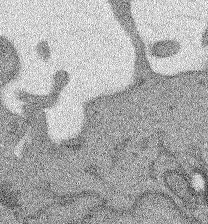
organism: Human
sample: HeLa cells